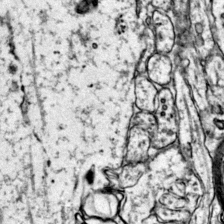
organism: Mouse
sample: Primary visual cortex